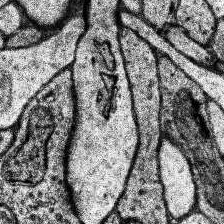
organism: Human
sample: Temporal Lobe